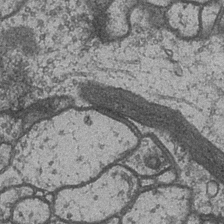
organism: Drosophila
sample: Optic medulla